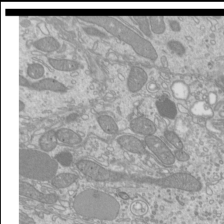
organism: Mouse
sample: Cilia; mouse epididymis